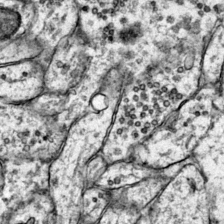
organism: Mouse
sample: Primary visual cortex